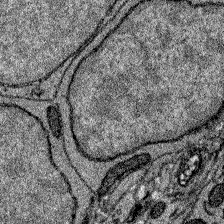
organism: Zebrafish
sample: Larval olfactory bulb